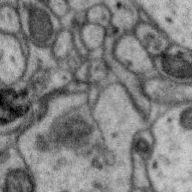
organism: Zebra finch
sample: Brain